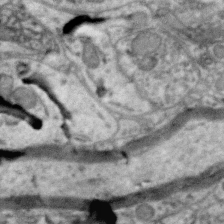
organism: Zebra finch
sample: Brain